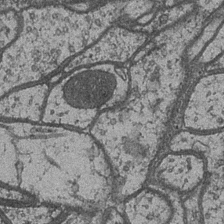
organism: Drosophila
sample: Optic medulla